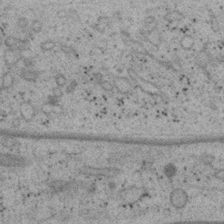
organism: Human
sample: HeLa cells